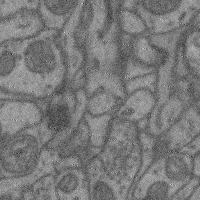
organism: Mouse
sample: Cerebral cortex